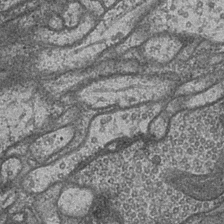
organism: Drosophila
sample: Optic medulla